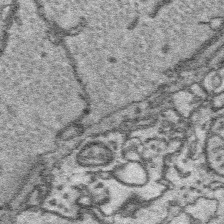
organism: Platynereis dumerilii